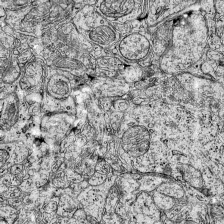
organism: Mouse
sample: Visual Cortex